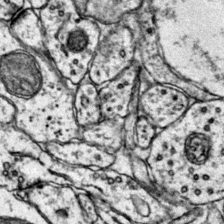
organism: Mouse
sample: Primary visual cortex